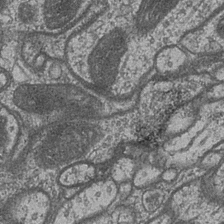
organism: Drosophila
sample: Optic medulla